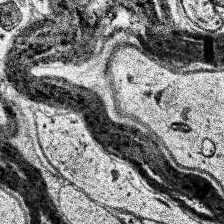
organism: Human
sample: Temporal Lobe